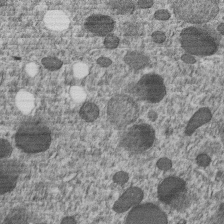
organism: C. elegans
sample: C. elegans embryo early stage